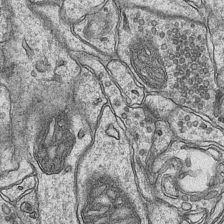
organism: Mouse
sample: CA1 Hippocampus